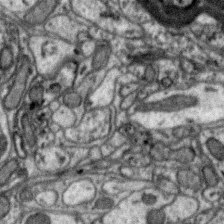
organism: Zebra finch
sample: Brain